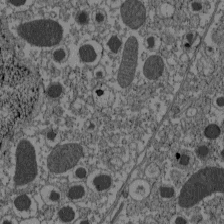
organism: C57BL Mouse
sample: Pancreatic islet